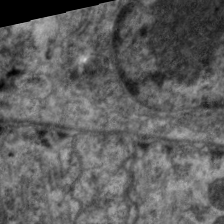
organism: C. elegans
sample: Pharynx